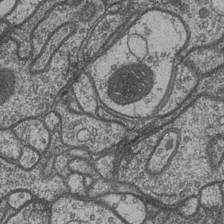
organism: Drosophila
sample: Optic medulla